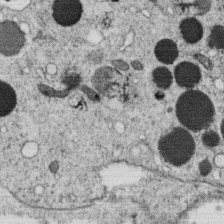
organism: C. elegans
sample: C. elegans oocyte; sperm cells